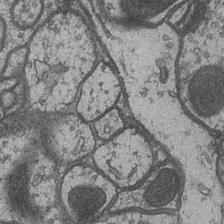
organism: Drosophila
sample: Optic medulla